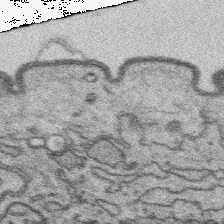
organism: Platynereis dumerilii